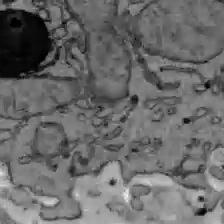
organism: C57BL Mouse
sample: Liver